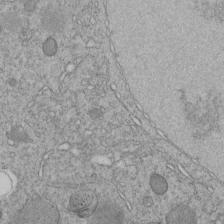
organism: C. elegans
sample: C. elegans embryo early stage